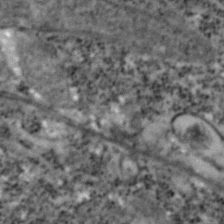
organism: Zebrafish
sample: Zebrafish embryo